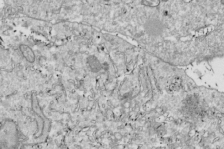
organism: Drosophila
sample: Cell division; meiosis; drosophila spermatocytes